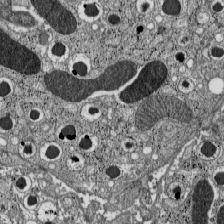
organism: C57BL Mouse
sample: Pancreatic islet